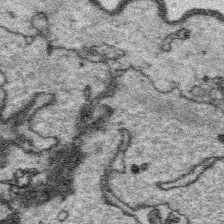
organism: Platynereis dumerilii